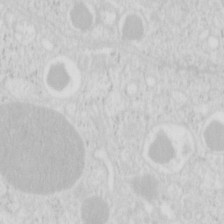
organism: Mouse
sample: Pancreas